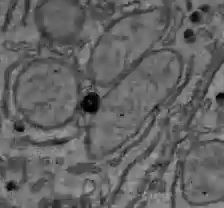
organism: C57BL Mouse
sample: Liver